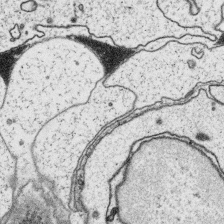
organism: Platynereis dumerilii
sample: Parapodia